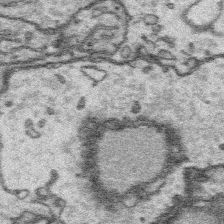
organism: Platynereis dumerilii